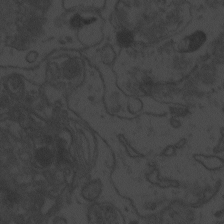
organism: Zebrafish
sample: Macrophage infected with Toxoplasma gondii